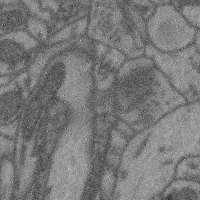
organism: Mouse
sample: Cerebral cortex